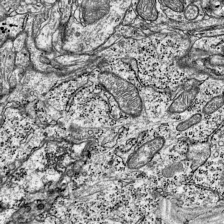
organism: Mouse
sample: Visual Cortex